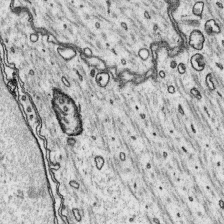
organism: Platynereis dumerilii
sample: Parapodia